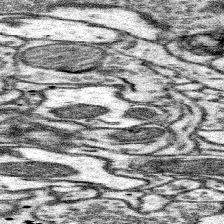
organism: Mouse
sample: Somatosensory cortex neuropil